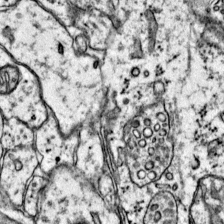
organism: Mouse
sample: Primary visual cortex